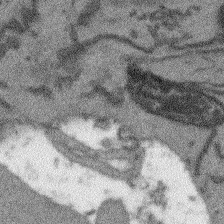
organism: Arabidopsis thaliana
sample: Root tip